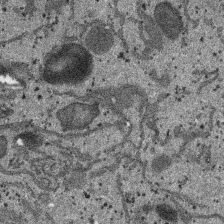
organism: Human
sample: Lung epithelial cells infected with SARS-CoV-2